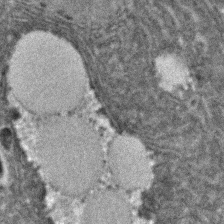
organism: C. elegans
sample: C. elegans embryo